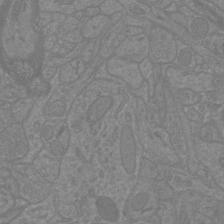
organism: Mouse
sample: Cortical neurons